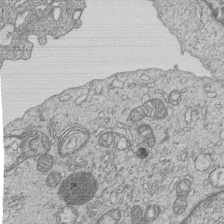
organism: Human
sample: MDA-MB-231 cells